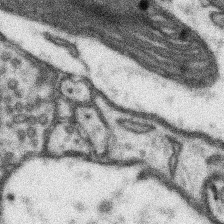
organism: Mouse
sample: Somatosensory cortex neuropil